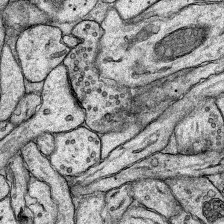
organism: Rat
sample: Hippocampus